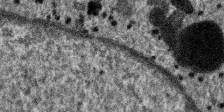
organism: Human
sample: Lung epithelial cells infected with SARS-CoV-2